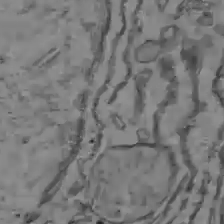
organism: C57BL Mouse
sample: Liver